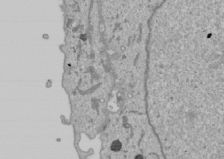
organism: Human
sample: Mitochondria in U2OS cells